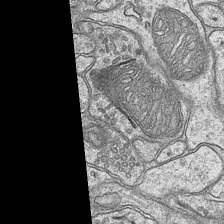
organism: Mouse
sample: CA1 Hippocampus